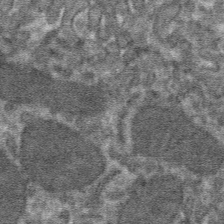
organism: Mouse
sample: Mouse hepatocytes